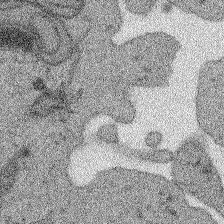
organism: Human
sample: HeLa cells